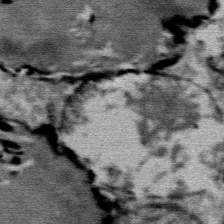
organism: Mouse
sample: Mouse Salivary gland